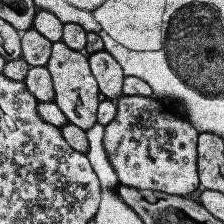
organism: Human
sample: Temporal Lobe